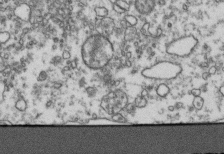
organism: Human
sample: Activated Jurkat CD4+ T cells